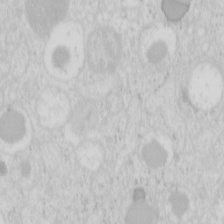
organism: Mouse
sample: Pancreas